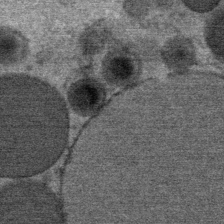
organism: Mouse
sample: Mouse Salivary gland